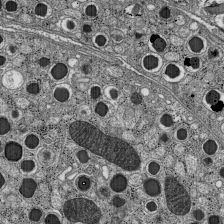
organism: C57BL Mouse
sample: Pancreatic islet